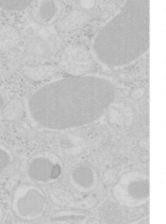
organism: Mouse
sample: Pancreas